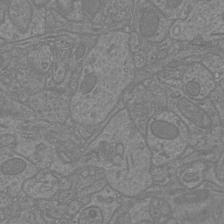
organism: Mouse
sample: Cortical neurons